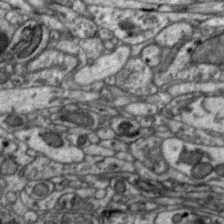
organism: Zebra finch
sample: Brain